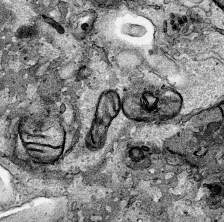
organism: Human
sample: Mitochondria in HCT116 cells